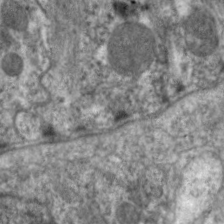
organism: C. elegans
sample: Pharynx